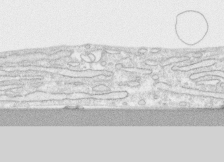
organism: Human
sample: CRL-1474